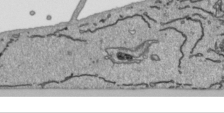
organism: Human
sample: Mitochondria in HCT116 cells